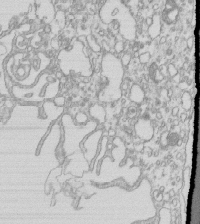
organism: Mouse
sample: Macrophages